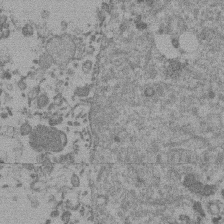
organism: Mouse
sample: Dividing mouse embryo 1 cell stage